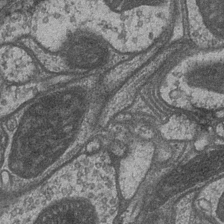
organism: Drosophila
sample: Optic medulla